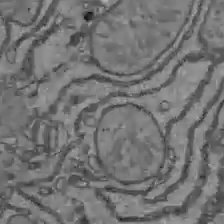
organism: C57BL Mouse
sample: Liver